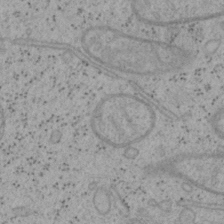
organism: Human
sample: HeLa cells